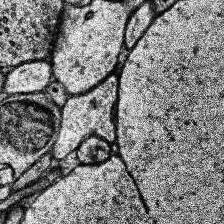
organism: Human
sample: Temporal Lobe